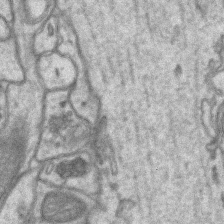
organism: Mouse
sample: CA1 Hippocampus